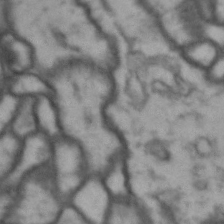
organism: Drosophila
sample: Brain